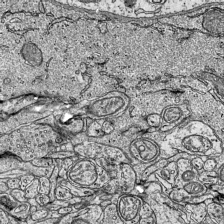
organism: Mouse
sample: Visual Cortex